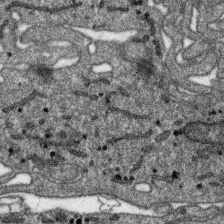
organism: Human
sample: Lung epithelial cells infected with SARS-CoV-2